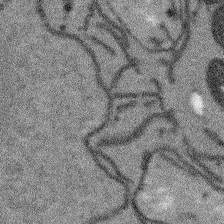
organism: Arabidopsis thaliana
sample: Root tip